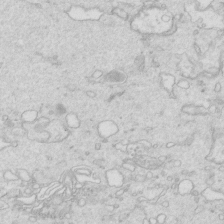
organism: Mouse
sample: Multiciliated cells